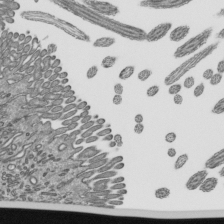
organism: Mouse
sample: Mouse epididymis efferent ductule cilia